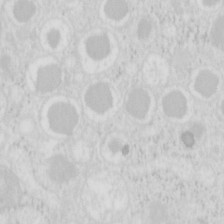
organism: Mouse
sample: Pancreas